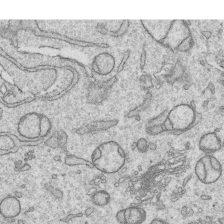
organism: Human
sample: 1205lu cells